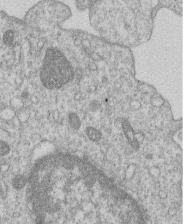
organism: Human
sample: Macrophage cells